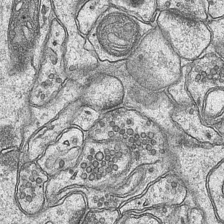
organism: Mouse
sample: CA1 Hippocampus